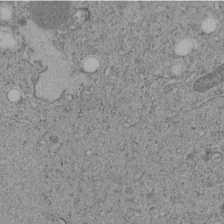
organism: C. elegans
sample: C. elegans embryo early stage